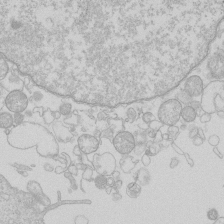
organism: Human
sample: Macrophage cells